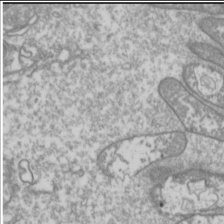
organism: Drosophila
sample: Cell division; meiosis; drosophila spermatocytes